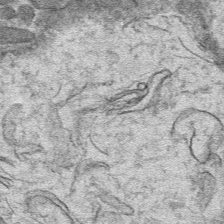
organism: Mouse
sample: Mouse hepatocytes